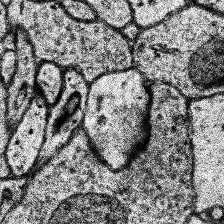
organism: Human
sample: Temporal Lobe